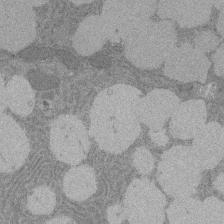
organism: Rat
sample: Salivary granule